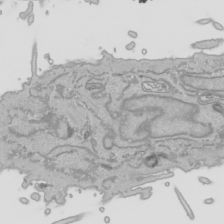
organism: Human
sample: Mitochondria in HCT116 cells